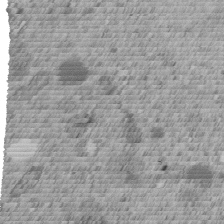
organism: C. elegans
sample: C. elegans embryo early stage